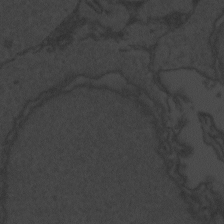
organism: Zebrafish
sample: Macrophage infected with Toxoplasma gondii